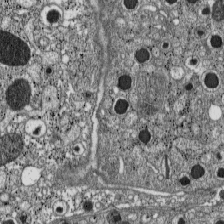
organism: C57BL Mouse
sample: Pancreatic islet